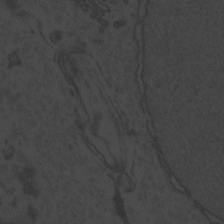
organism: Zebrafish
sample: Macrophage infected with Toxoplasma gondii